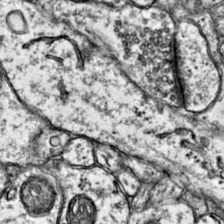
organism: Mouse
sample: Primary visual cortex